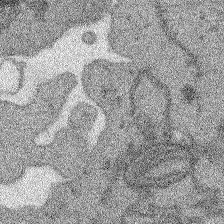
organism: Human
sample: HeLa cells